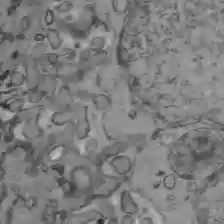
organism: C57BL Mouse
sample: Liver